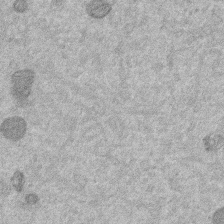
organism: Mouse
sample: Dividing mouse embryo 1 cell stage